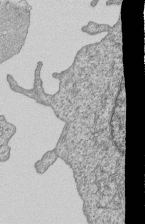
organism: Human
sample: MDA-MB-231 cells